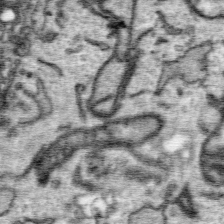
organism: Human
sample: HeLa cells